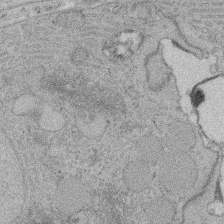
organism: Rat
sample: Salivary granule